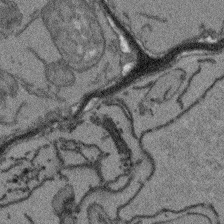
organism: Arabidopsis thaliana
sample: Root tip